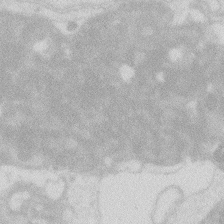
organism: Zebrafish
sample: Macrophage